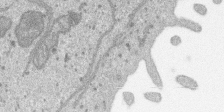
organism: Human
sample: Lung epithelial cells infected with SARS-CoV-2